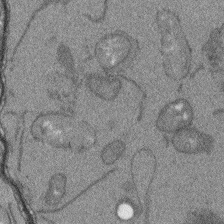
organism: Arabidopsis thaliana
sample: Root tip